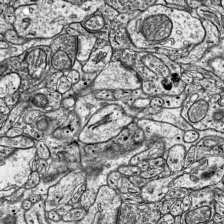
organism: Mouse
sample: Visual Cortex